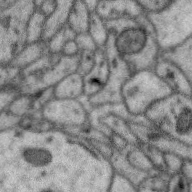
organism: Zebra finch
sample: Brain